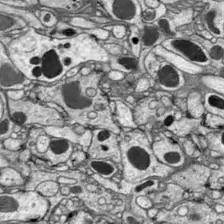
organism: Drosophila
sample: Optic lobe